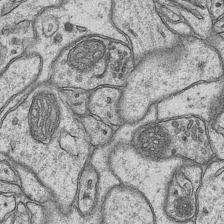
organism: Mouse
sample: CA1 Hippocampus